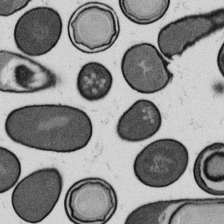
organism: B. subtilis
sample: Bacterial spore